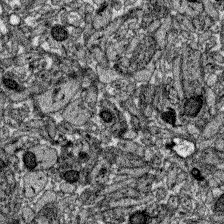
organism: Zebrafish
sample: Larval olfactory bulb